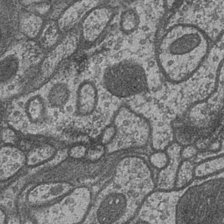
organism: Drosophila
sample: Optic medulla